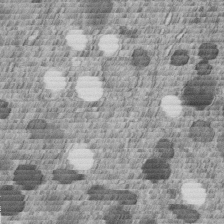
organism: C. elegans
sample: C. elegans embryo early stage